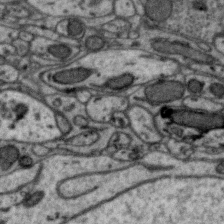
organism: Zebra finch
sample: Brain